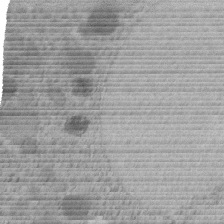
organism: C. elegans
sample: C. elegans embryo early stage